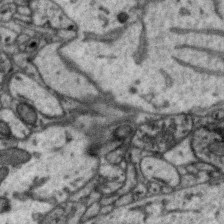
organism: Zebra finch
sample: Brain